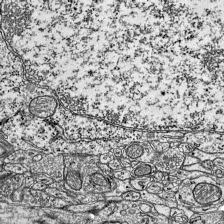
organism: Mouse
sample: Visual Cortex